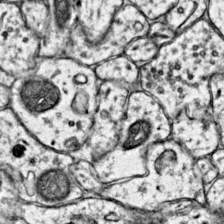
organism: Mouse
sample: Primary visual cortex